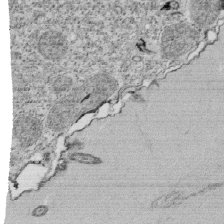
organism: Tetrahymena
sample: Cilia in tetrahymena